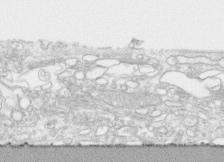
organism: Human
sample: CRL-1474